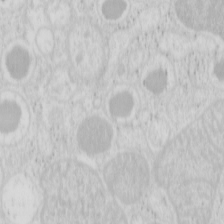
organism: Mouse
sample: Pancreas